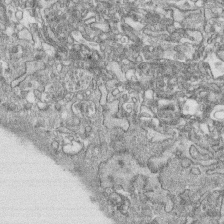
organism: Human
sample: CRL-1474